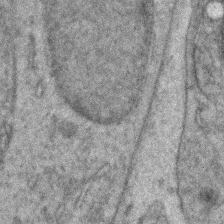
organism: Zebrafish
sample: Zebrafish embryo